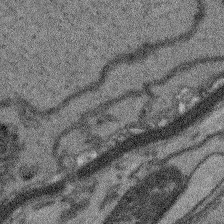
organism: Arabidopsis thaliana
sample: Root tip